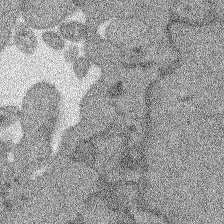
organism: Human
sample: HeLa cells